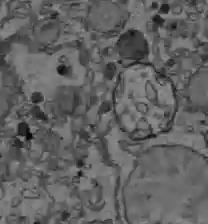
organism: C57BL Mouse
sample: Liver